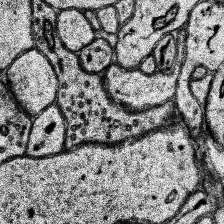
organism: Human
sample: Temporal Lobe